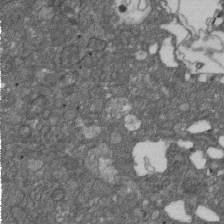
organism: Drosophila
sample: Nephrocyte